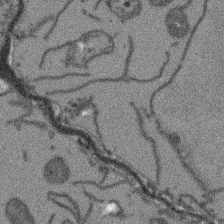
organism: Arabidopsis thaliana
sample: Root tip